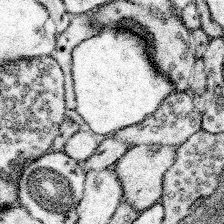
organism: Mouse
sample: Somatosensory cortex neuropil